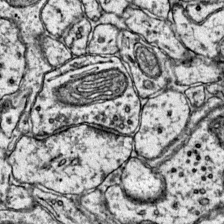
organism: Mouse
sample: Primary visual cortex